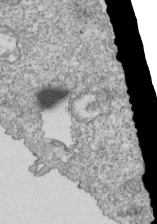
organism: Human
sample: HeLa cell HIV synapse